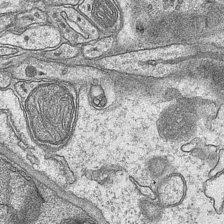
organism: Mouse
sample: CA1 Hippocampus